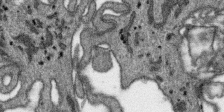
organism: Human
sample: Lung epithelial cells, uninfected (mock) control